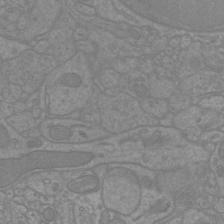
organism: Mouse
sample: Cortical neurons